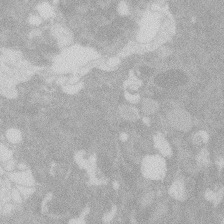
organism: Zebrafish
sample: Macrophage